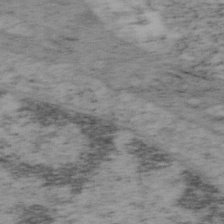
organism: Mouse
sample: OT-I killer T cells with ID8 ovarian cancer cells